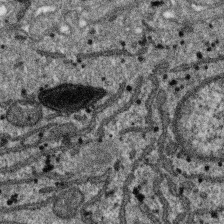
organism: Human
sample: Lung epithelial cells infected with SARS-CoV-2